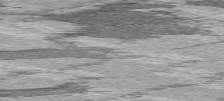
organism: C57BL Mouse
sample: Heart